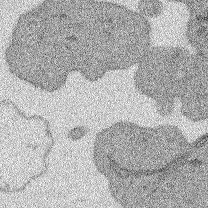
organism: Human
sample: HeLa cells